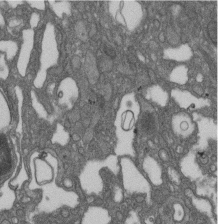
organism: Drosophila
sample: Nephrocyte